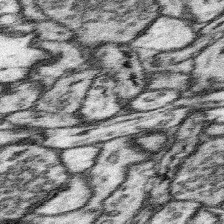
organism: Mouse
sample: Somatosensory cortex neuropil